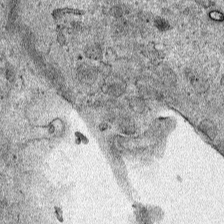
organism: Human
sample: Mitochondria in HCT116 cells